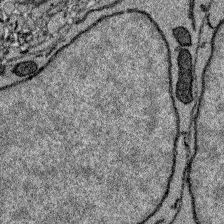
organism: Zebrafish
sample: Larval olfactory bulb